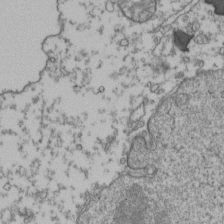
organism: Human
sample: Activated Jurkat CD4+ T cells